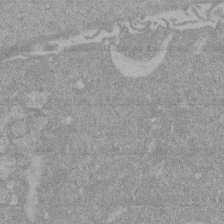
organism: Mouse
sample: ED-1 cell nuclei; centrioles